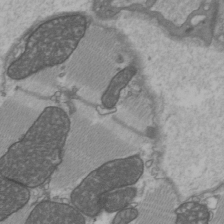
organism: C57BL Mouse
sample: Heart